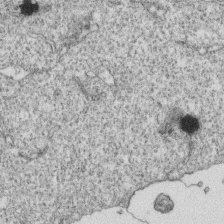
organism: Human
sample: HeLa cell HIV synapse